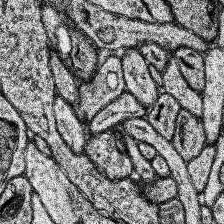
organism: Human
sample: Temporal Lobe